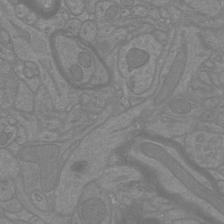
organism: Mouse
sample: Cortical neurons